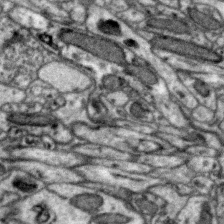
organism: Zebra finch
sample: Brain